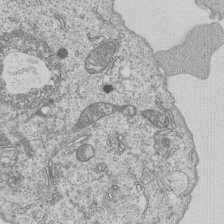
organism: Human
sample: MDA-MB-231 cells